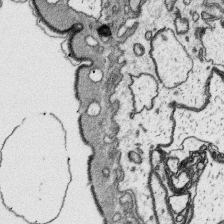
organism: Platynereis dumerilii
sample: Parapodia